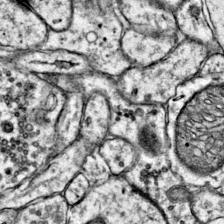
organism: Mouse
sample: Primary visual cortex